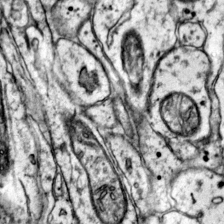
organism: Mouse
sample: Primary visual cortex